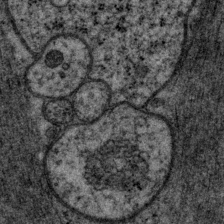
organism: P. pacificus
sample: Pharynx